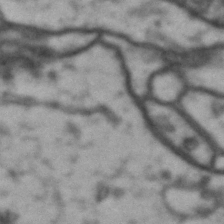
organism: Drosophila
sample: Brain